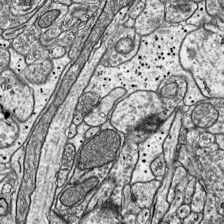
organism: Mouse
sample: Visual Cortex